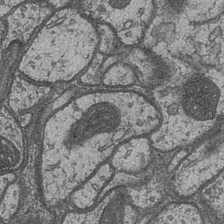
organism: Drosophila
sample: Optic medulla